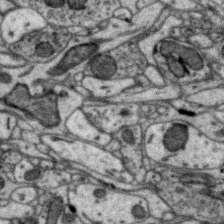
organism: Zebra finch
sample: Brain